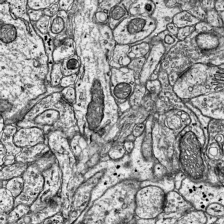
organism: Mouse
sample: Visual Cortex